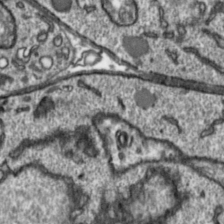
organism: Toxoplasma gondii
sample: Parasites in a vacuole inside a host cell